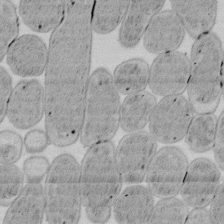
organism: E. coli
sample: Bacterial nucleoid